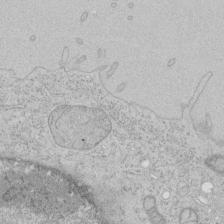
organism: Human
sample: Mitochondria in HCT116 cells